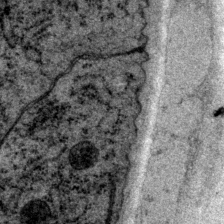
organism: P. pacificus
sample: Pharynx